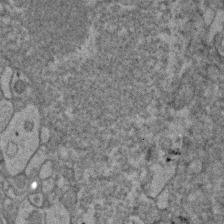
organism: Human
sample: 1205lu cells